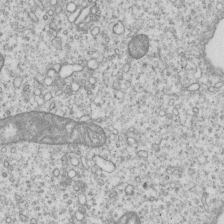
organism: Human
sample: MDA-MB-231 cells